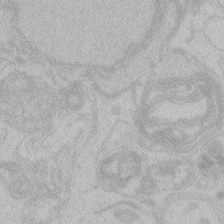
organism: Zebrafish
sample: Macrophage infected with Toxoplasma gondii